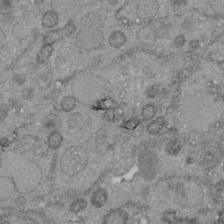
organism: C. elegans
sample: C. elegans embryo early stage